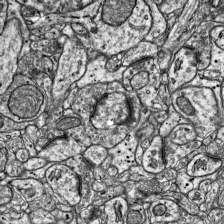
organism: Mouse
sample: Visual Cortex